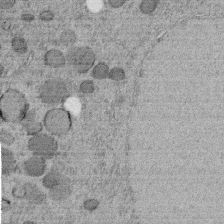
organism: C. elegans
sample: C. elegans embryo early stage